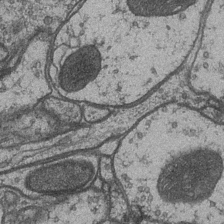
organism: Drosophila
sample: Optic medulla